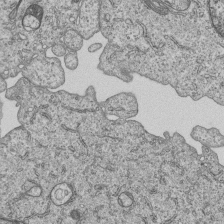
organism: Human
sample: MDA-MB-231 cells